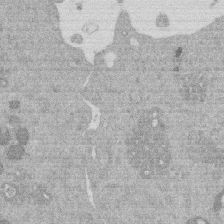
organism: Mouse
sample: Dividing mouse embryo 1 cell stage